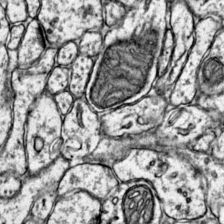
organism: Mouse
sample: Primary visual cortex